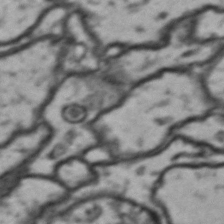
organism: Drosophila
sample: Brain